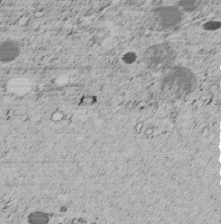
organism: C. elegans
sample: C. elegans embryo early stage